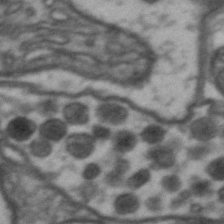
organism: Drosophila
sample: Brain